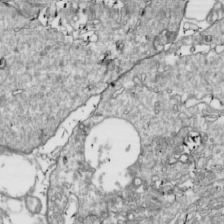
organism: Drosophila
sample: Cell division; meiosis; drosophila spermatocytes